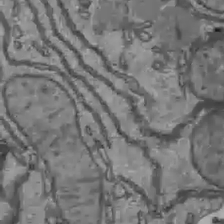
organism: C57BL Mouse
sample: Liver